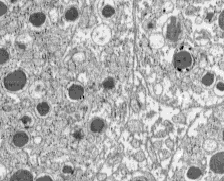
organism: C57BL Mouse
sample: Pancreatic islet